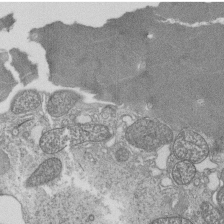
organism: Tetrahymena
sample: Cilia in tetrahymena